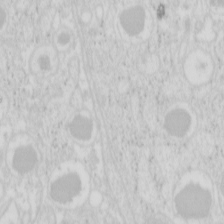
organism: Mouse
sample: Pancreas